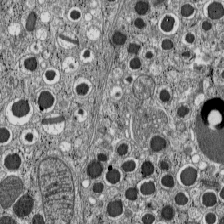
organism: C57BL Mouse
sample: Pancreatic islet